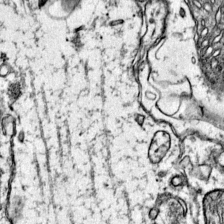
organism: Mouse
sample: Primary visual cortex